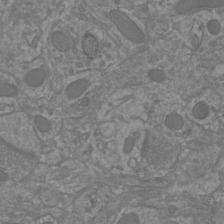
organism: Mouse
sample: Cortical neurons